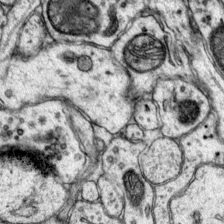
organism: Mouse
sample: Primary visual cortex